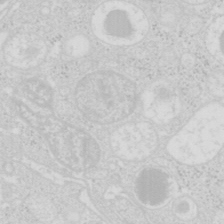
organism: Mouse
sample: Pancreas